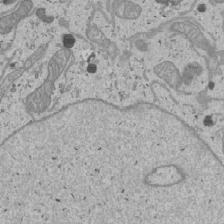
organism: Human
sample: Mitochondria in U2OS cells